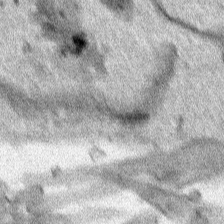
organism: Human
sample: Mitochondria in HCT116 cells